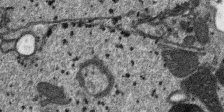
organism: Human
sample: Lung epithelial cells infected with SARS-CoV-2